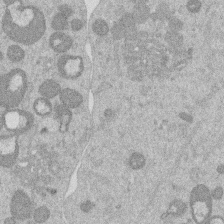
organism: Mouse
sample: Dividing mouse embryo 1 cell stage